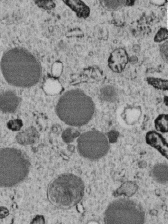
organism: C. elegans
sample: C. elegans embryo early stage